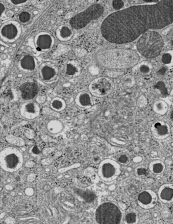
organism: C57BL Mouse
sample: Pancreatic islet